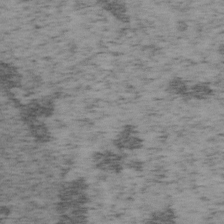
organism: Mouse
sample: OT-I killer T cells with ID8 ovarian cancer cells